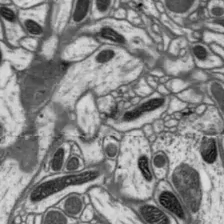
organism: Drosophila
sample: Protocerebral bridge